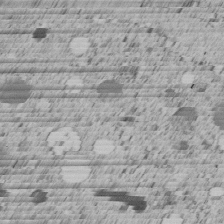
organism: C. elegans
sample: C. elegans embryo early stage